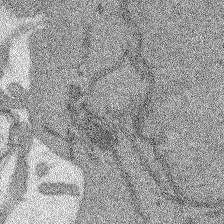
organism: Human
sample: HeLa cells